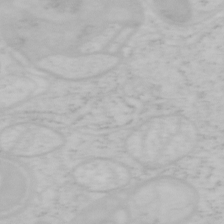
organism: Mouse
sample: OT-I killer T cells with ID8 ovarian cancer cells